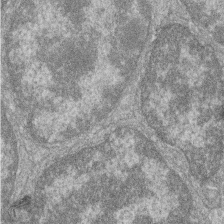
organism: Zebrafish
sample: Cilia; retinal pigment epithelium